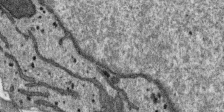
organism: Human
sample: Lung epithelial cells, uninfected (mock) control